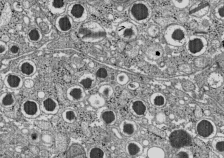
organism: C57BL Mouse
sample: Pancreatic islet